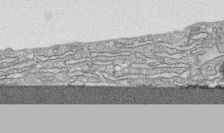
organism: Human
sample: CRL-1474